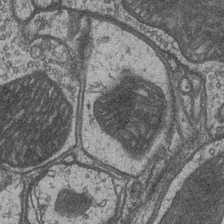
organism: Drosophila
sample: Optic medulla